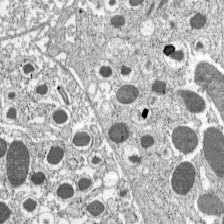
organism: C57BL Mouse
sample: Pancreatic islet